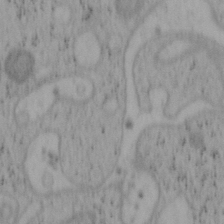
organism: Mouse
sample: OT-I killer T cells with ID8 ovarian cancer cells